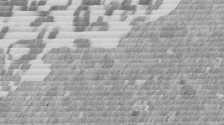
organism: Mouse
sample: Dividing mouse embryo 1 cell stage